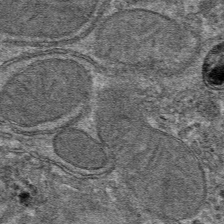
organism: Mouse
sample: Mouse hepatocytes